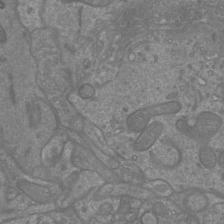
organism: Mouse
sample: Cortical neurons